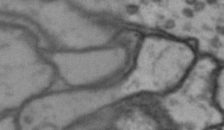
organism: Drosophila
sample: Brain